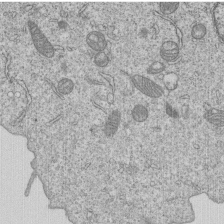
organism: Human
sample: MDA-MB-231 cells